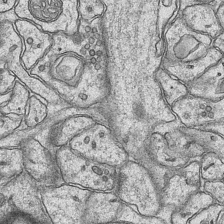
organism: Mouse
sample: CA1 Hippocampus